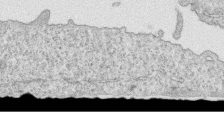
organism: Human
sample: HeLa cell HIV synapse